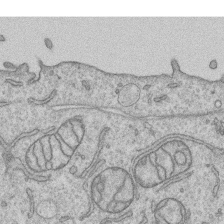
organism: Human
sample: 1205lu cells